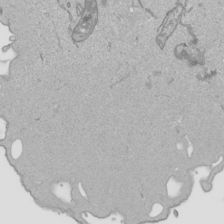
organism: Human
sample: Mitochondria in HCT116 cells